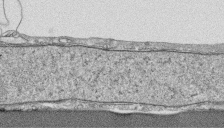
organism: Human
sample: CRL-1474